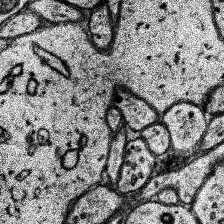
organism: Human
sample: Temporal Lobe